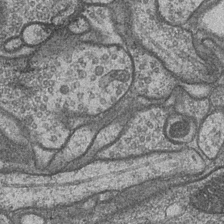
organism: Drosophila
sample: Optic medulla